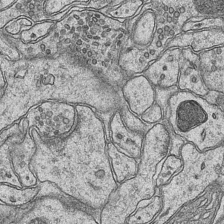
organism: Mouse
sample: CA1 Hippocampus